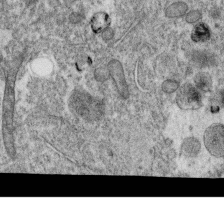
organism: C. elegans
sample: C. elegans oocyte; sperm cells